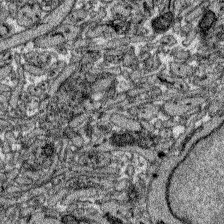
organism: Zebrafish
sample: Larval olfactory bulb